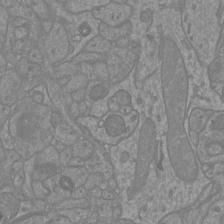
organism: Mouse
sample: Cortical neurons